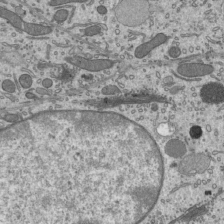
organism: Mouse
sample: Mouse epididymis efferent ductule cilia